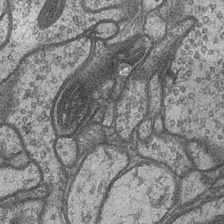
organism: Drosophila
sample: Optic medulla